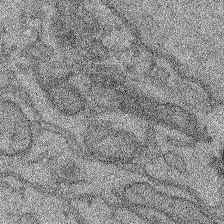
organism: Human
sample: HeLa cells